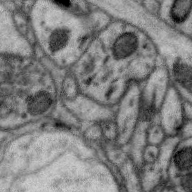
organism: Zebra finch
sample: Brain